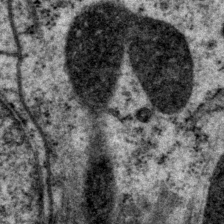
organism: P. pacificus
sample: Pharynx